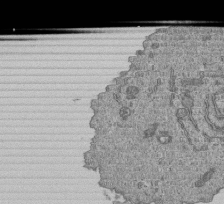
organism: Human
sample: MDA-MB-231 cells